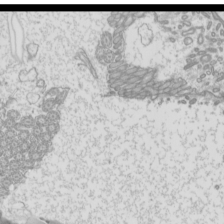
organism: Mouse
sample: Cilia; mouse epididymis